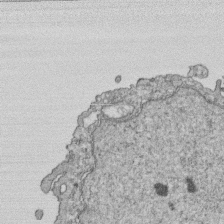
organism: Human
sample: HeLa cell HIV synapse